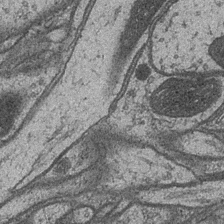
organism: Drosophila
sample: Optic medulla